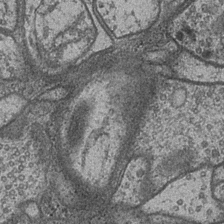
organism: Drosophila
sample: Optic medulla